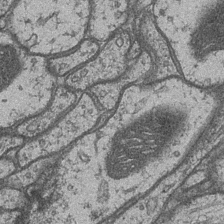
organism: Drosophila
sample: Optic medulla